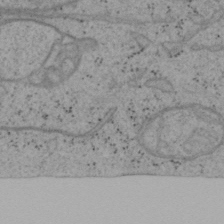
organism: Human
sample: HeLa cells